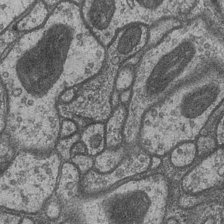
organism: Drosophila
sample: Optic medulla